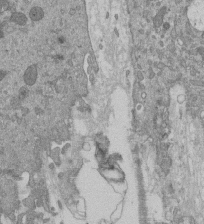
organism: Mouse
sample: ED-1 cell nuclei; centrioles